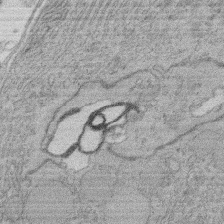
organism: Rat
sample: Salivary granule